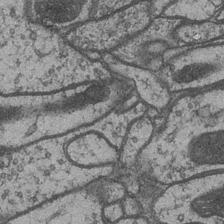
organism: Drosophila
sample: Optic medulla